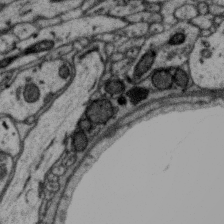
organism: Zebra finch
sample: Brain